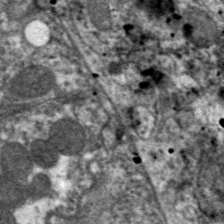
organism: C. elegans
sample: Pharynx